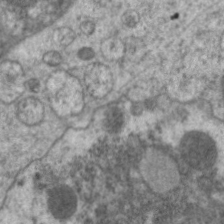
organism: C. elegans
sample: Pharynx